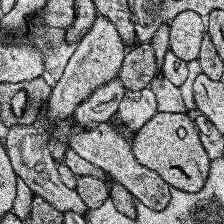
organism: Human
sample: Temporal Lobe